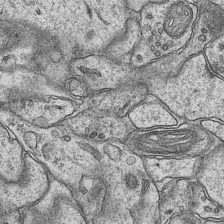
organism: Mouse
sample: CA1 Hippocampus